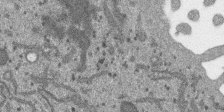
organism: Human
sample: Lung epithelial cells infected with SARS-CoV-2